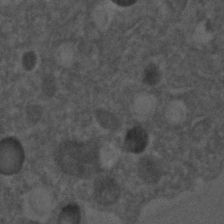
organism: C. elegans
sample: C. elegans embryo